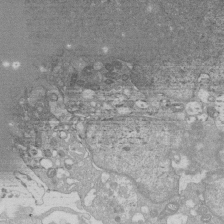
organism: Human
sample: Macrophage cells